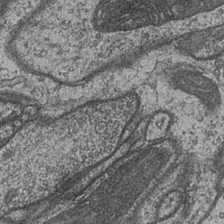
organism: Drosophila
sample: Optic medulla